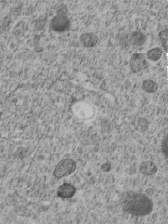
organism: C. elegans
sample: C. elegans embryo early stage